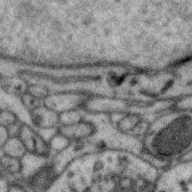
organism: Zebra finch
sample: Brain